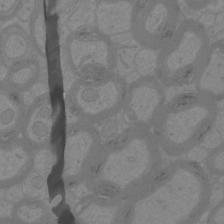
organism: Mouse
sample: Cortical neurons